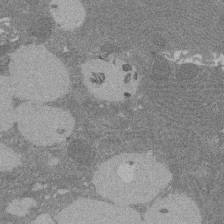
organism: Rat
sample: Salivary granule